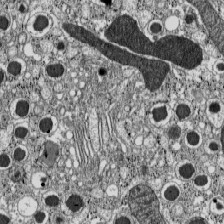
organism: C57BL Mouse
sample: Pancreatic islet